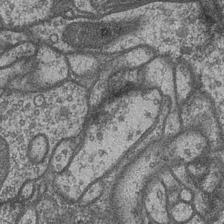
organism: Drosophila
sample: Optic medulla